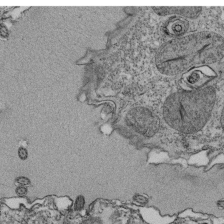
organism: Tetrahymena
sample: Cilia in tetrahymena